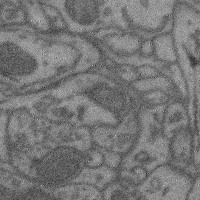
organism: Mouse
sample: Cerebral cortex